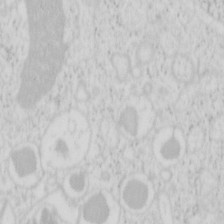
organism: Mouse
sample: Pancreas